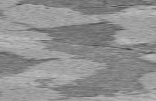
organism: C57BL Mouse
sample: Heart